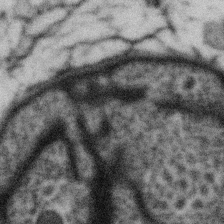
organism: Gemmata obscuriglobus